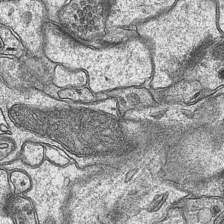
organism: Mouse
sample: CA1 Hippocampus